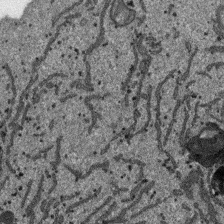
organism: Human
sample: Lung epithelial cells infected with SARS-CoV-2